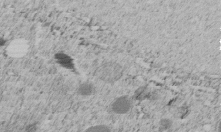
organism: C. elegans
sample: C. elegans embryo early stage